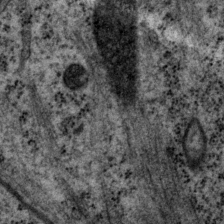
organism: P. pacificus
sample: Pharynx